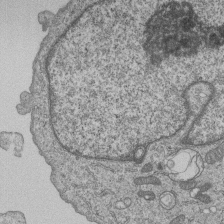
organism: Human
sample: MDA-MB-231 cells